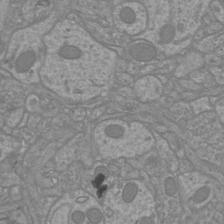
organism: Mouse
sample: Cortical neurons